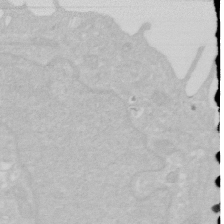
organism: Human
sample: HIV infected U937 cells